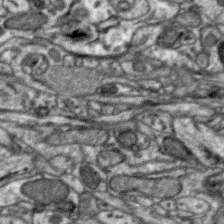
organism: Zebra finch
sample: Brain